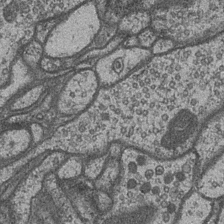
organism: Drosophila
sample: Optic medulla